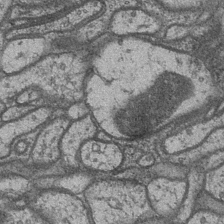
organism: Drosophila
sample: Optic medulla